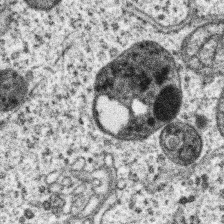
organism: Human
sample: HeLa cells